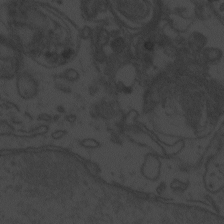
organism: Zebrafish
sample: Macrophage infected with Toxoplasma gondii